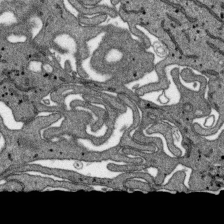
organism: Human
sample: Lung epithelial cells, uninfected (mock) control